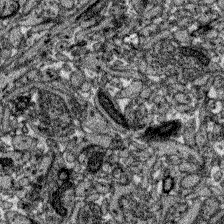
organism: Zebrafish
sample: Larval olfactory bulb